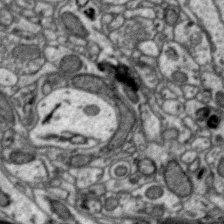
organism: Zebra finch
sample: Brain